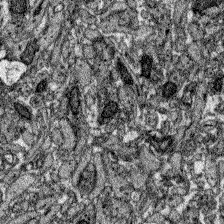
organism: Zebrafish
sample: Larval olfactory bulb